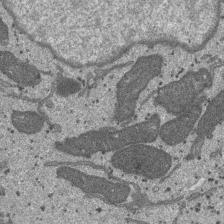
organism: Human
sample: Lung epithelial cells infected with SARS-CoV-2